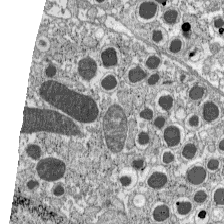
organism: C57BL Mouse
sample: Pancreatic islet